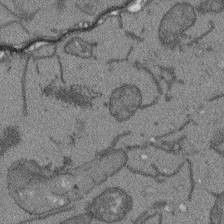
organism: Arabidopsis thaliana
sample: Root tip